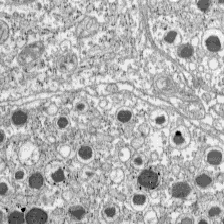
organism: C57BL Mouse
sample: Pancreatic islet